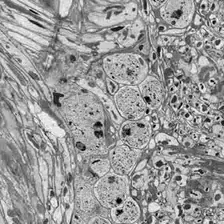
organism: Drosophila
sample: Optic lobe